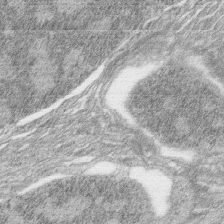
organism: Zebrafish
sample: synaptic ribbons in rod cells and cone cells